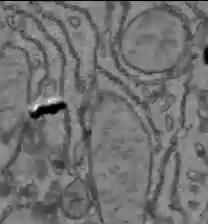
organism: C57BL Mouse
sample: Liver